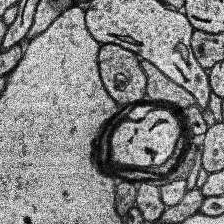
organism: Human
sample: Temporal Lobe